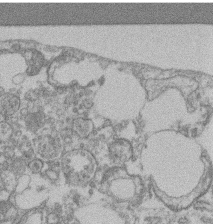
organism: Mouse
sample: T cell stromal cell synapse